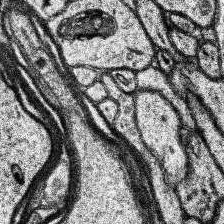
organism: Human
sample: Temporal Lobe